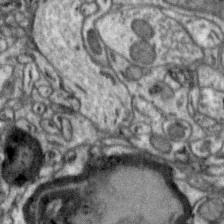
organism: Zebra finch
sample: Brain